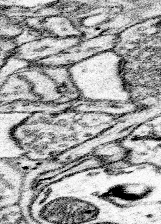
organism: Mouse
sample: Somatosensory cortex neuropil